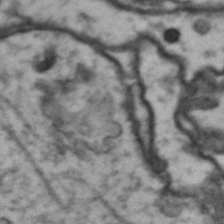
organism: Drosophila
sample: Brain